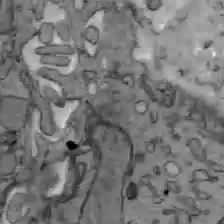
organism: C57BL Mouse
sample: Liver